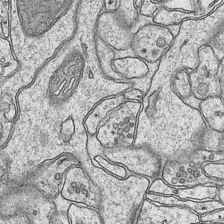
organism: Mouse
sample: CA1 Hippocampus